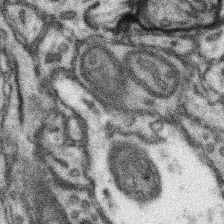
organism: Mouse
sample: Somatosensory cortex neuropil